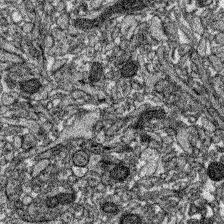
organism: Zebrafish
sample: Larval olfactory bulb